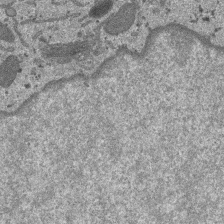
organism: Human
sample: Lung epithelial cells infected with SARS-CoV-2